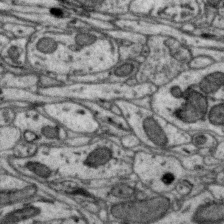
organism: Zebra finch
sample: Brain